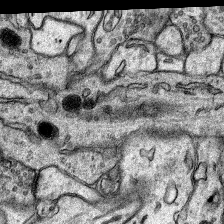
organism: Rat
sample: Hippocampus